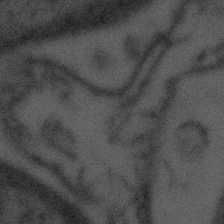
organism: Tuwongella immobilis